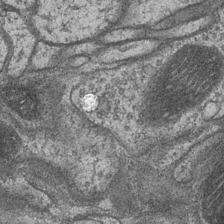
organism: Drosophila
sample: Optic medulla